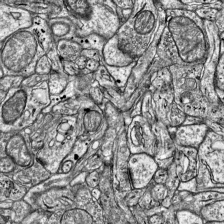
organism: Mouse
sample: Visual Cortex